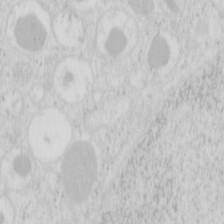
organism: Mouse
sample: Pancreas